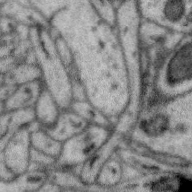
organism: Zebra finch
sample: Brain